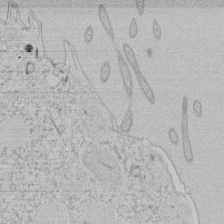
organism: Tetrahymena